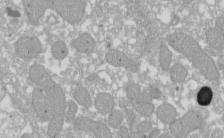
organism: Xenopus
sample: Cilia; centrioles in frog embryo cells